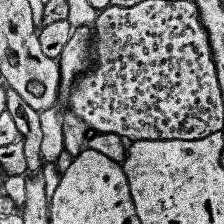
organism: Human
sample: Temporal Lobe